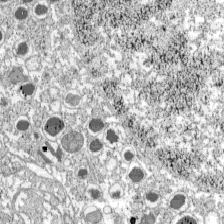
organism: C57BL Mouse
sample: Pancreatic islet